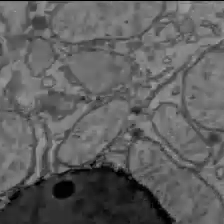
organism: C57BL Mouse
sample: Liver